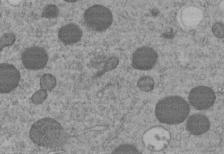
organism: C. elegans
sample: C. elegans embryo early stage